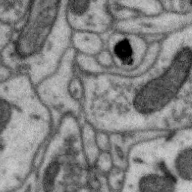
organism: Zebra finch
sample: Brain